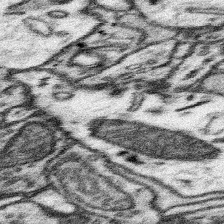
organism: Mouse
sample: Somatosensory cortex neuropil